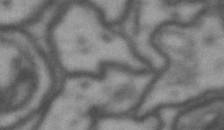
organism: Drosophila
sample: Brain